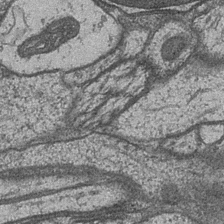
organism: Drosophila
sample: Optic medulla